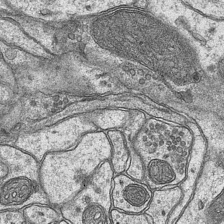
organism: Mouse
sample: CA1 Hippocampus